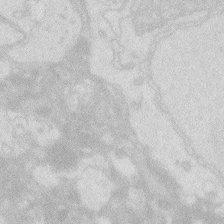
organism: Zebrafish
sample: Macrophage